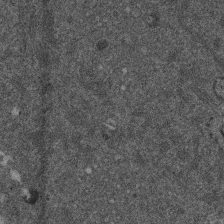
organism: Mouse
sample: Dividing mouse embryo 1 cell stage